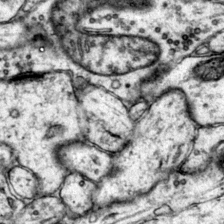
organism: Mouse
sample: Primary visual cortex